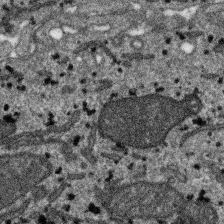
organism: Human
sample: Lung epithelial cells infected with SARS-CoV-2